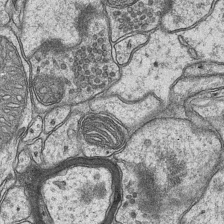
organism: Mouse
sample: CA1 Hippocampus